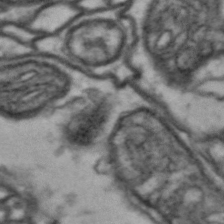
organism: Drosophila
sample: Brain